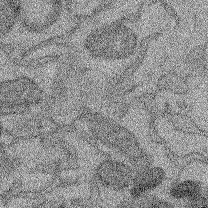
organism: Human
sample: HeLa cells